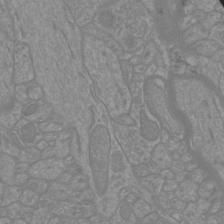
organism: Mouse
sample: Cortical neurons